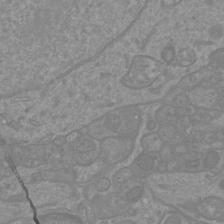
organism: Mouse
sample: Cortical neurons